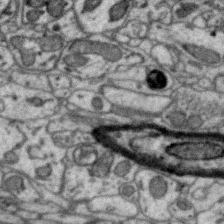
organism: Zebra finch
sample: Brain